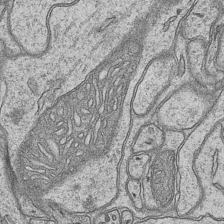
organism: Mouse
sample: CA1 Hippocampus